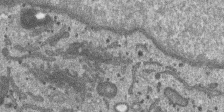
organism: Human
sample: Lung epithelial cells infected with SARS-CoV-2